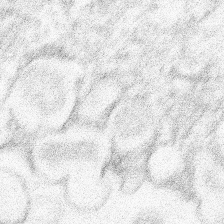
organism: Xenopus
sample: Cilia; centrioles in frog embryo cells